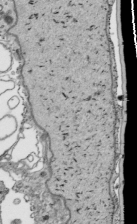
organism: Human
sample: Mitochondria in HCT116 cells